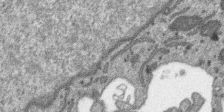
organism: Human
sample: Lung epithelial cells infected with SARS-CoV-2